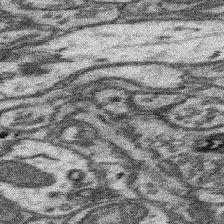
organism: Mouse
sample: Somatosensory cortex neuropil